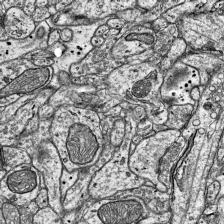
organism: Mouse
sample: Visual Cortex